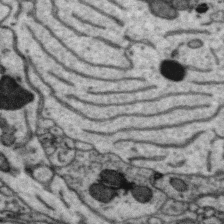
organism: Zebra finch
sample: Brain